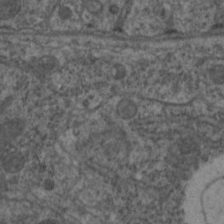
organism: C. elegans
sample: Pharynx